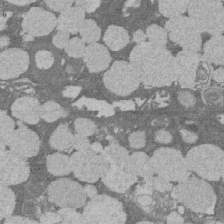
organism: Rat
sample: Salivary granule